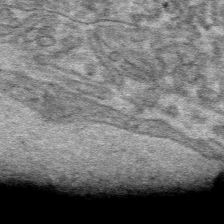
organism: Mouse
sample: Mouse hepatocytes